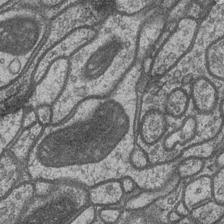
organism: Drosophila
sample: Optic medulla